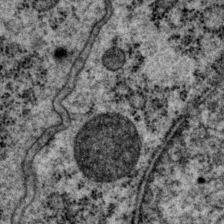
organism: P. pacificus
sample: Pharynx